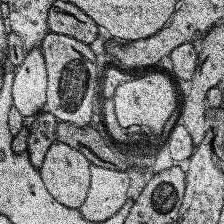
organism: Human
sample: Temporal Lobe